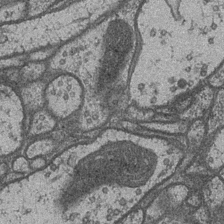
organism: Drosophila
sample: Optic medulla